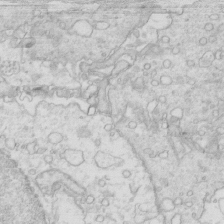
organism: Mouse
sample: Multiciliated cells